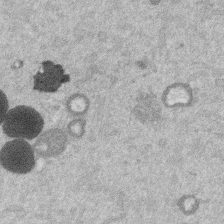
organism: Mouse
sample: Dividing mouse embryo 1 cell stage